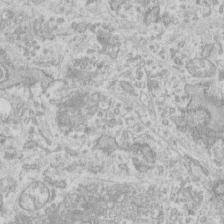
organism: Human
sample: Fibroblast cells